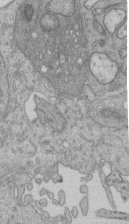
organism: Human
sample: Retinal organoid Rod and Cone cells